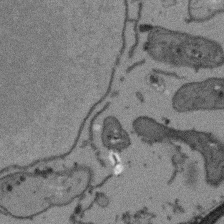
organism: Arabidopsis thaliana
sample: Root tip